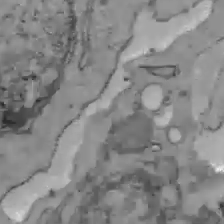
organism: C57BL Mouse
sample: Liver